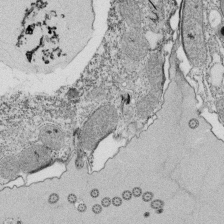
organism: Tetrahymena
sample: Cilia in tetrahymena